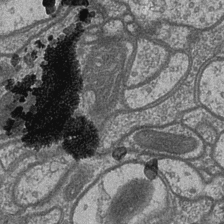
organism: Drosophila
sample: Optic medulla